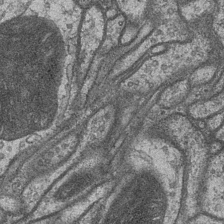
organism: Drosophila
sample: Optic medulla